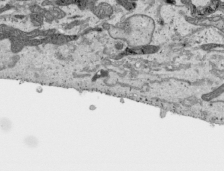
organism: Human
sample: Mitochondria in HCT116 cells